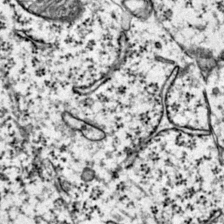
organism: Mouse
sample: Primary visual cortex